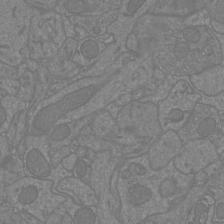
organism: Mouse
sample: Cortical neurons